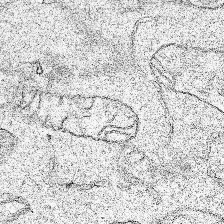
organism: Human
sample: Mitochondria in HCT116 cells